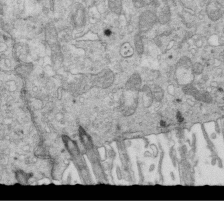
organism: Mouse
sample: Multiciliated cells